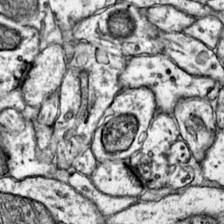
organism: Mouse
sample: Primary visual cortex